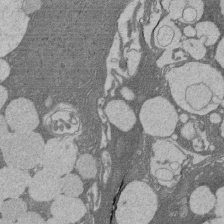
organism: Rat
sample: Salivary granule